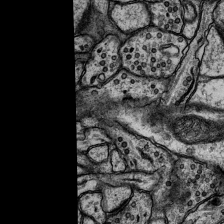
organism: Rat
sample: Hippocampus